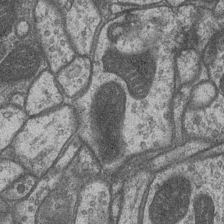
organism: Drosophila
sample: Optic medulla